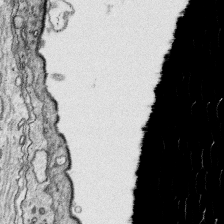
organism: Platynereis dumerilii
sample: Parapodia